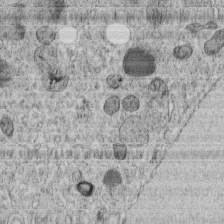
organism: C. elegans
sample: C. elegans embryo early stage